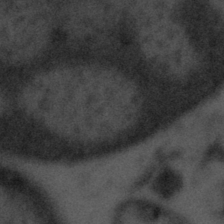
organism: Tuwongella immobilis